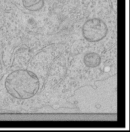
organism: Human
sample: Mitochondria in HCT116 cells